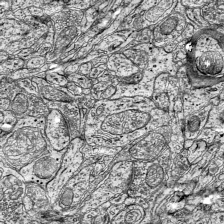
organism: Mouse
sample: Visual Cortex